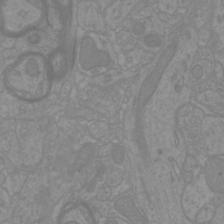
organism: Mouse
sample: Cortical neurons